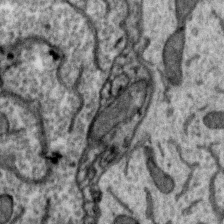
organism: Zebra finch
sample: Brain